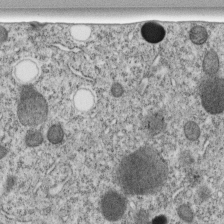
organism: C. elegans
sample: C. elegans embryo early stage